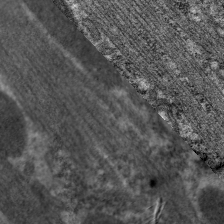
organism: C. elegans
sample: Pharynx